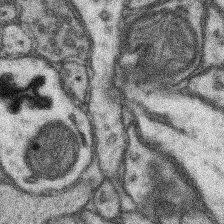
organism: Mouse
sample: Somatosensory cortex neuropil